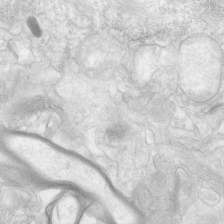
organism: Human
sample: Neocortex